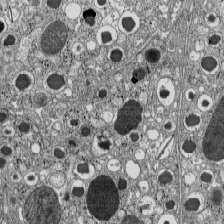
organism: C57BL Mouse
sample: Pancreatic islet